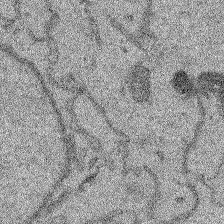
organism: Human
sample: HeLa cells